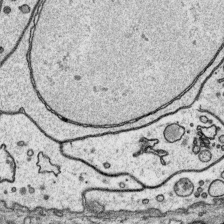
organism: Platynereis dumerilii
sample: Parapodia